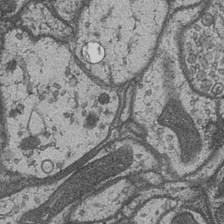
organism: Drosophila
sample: Optic medulla